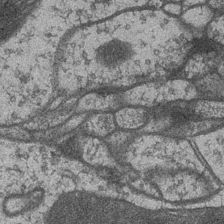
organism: Drosophila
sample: Optic medulla